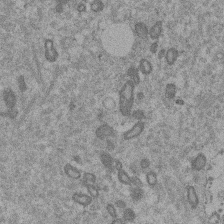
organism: Mouse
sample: Dividing mouse embryo 1 cell stage